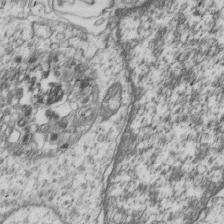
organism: Human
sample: MDA-MB-231 cells